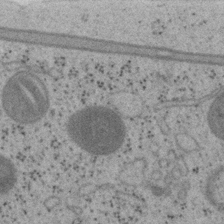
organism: Human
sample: HeLa cells